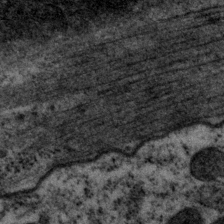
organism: P. pacificus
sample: Pharynx